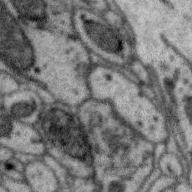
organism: Zebra finch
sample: Brain